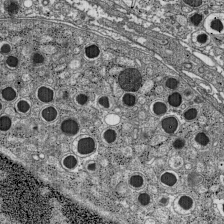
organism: C57BL Mouse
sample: Pancreatic islet